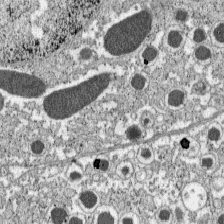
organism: C57BL Mouse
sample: Pancreatic islet